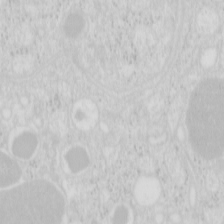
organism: Mouse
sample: Pancreas